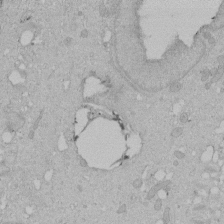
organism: Human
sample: Melanocyte Keratinocyte synapse skin construct